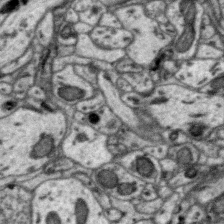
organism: Zebra finch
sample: Brain